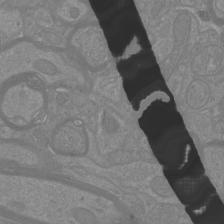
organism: Mouse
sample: Cortical neurons